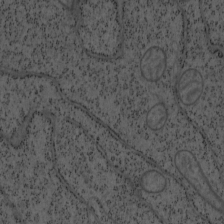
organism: Mouse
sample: OT-I killer T cells with ID8 ovarian cancer cells